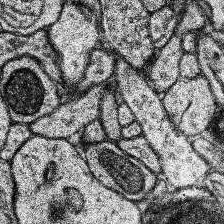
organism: Human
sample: Temporal Lobe